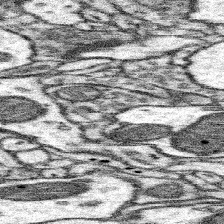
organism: Mouse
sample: Somatosensory cortex neuropil